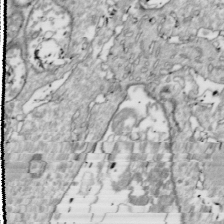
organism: Drosophila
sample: Cell division; meiosis; drosophila spermatocytes